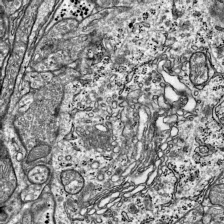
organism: Mouse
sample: Visual Cortex